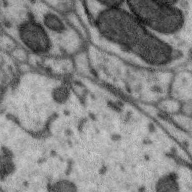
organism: Zebra finch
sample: Brain